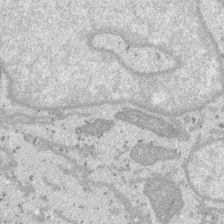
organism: Human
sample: Lung epithelial cells infected with SARS-CoV-2